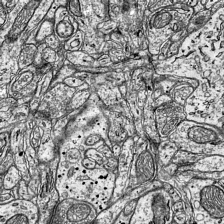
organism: Mouse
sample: Visual Cortex